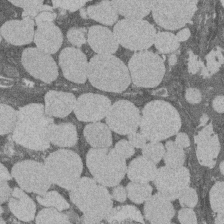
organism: Rat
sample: Salivary granule